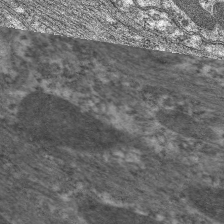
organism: C. elegans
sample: Pharynx